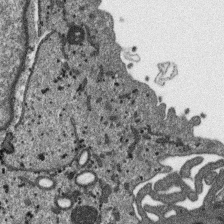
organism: Human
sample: Lung epithelial cells infected with SARS-CoV-2